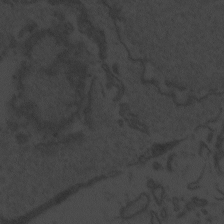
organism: Zebrafish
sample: Macrophage infected with Toxoplasma gondii